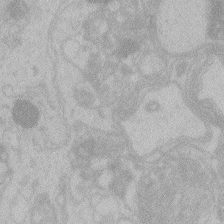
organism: Zebrafish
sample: Macrophage infected with Toxoplasma gondii